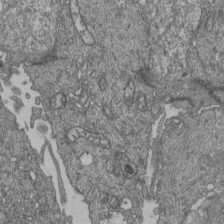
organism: Human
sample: Retinal organoid Rod and Cone cells